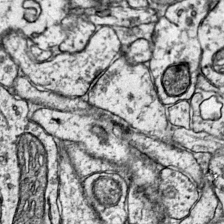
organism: Mouse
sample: Primary visual cortex